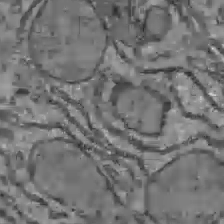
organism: C57BL Mouse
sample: Liver